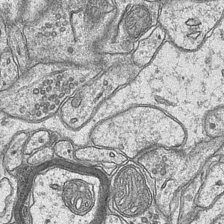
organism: Mouse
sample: CA1 Hippocampus